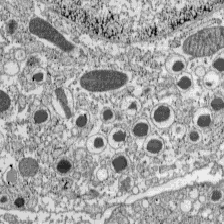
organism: C57BL Mouse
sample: Pancreatic islet